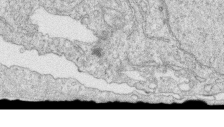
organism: Human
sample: HeLa cell HIV synapse